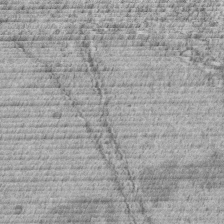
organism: C. elegans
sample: C. elegans embryo early stage